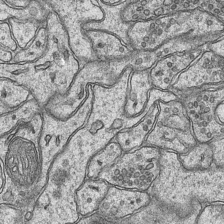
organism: Mouse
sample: CA1 Hippocampus